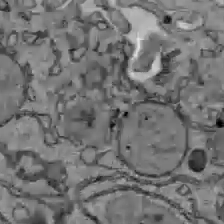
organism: C57BL Mouse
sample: Liver